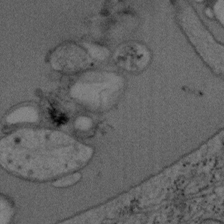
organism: Human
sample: HeLa cells